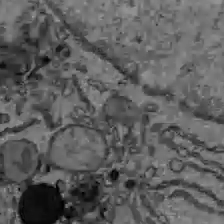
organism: C57BL Mouse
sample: Liver